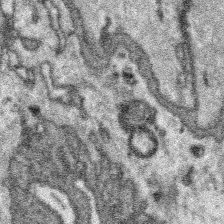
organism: Platynereis dumerilii